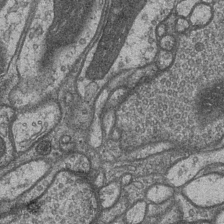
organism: Drosophila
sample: Optic medulla